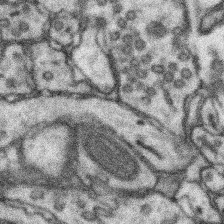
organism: Mouse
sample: Somatosensory cortex neuropil